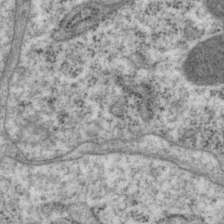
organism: P. pacificus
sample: Pharynx